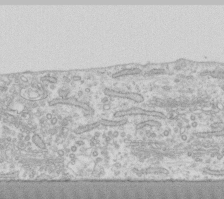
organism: Human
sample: Fibroblast cells